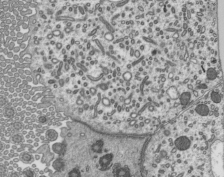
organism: Mouse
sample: Mouse epididymis efferent ductule cilia